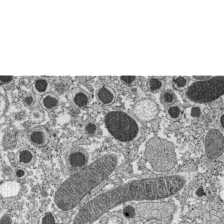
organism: C57BL Mouse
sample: Pancreatic islet